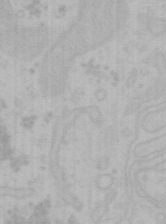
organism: Mouse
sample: Choroid plexus